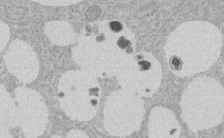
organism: Rat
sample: Salivary granule